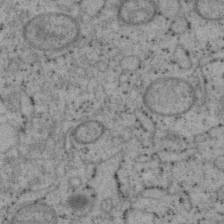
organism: Human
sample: HeLa cells